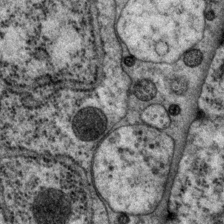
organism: P. pacificus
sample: Pharynx